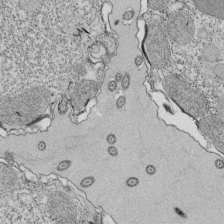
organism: Tetrahymena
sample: Cilia in tetrahymena